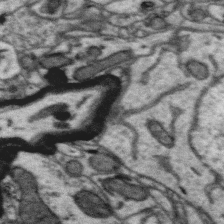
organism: Zebra finch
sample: Brain